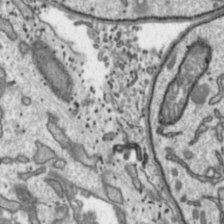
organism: Toxoplasma gondii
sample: Parasites in a vacuole inside a host cell